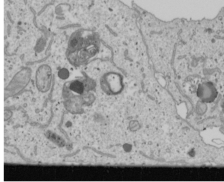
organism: Human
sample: Mitochondria in U2OS cells